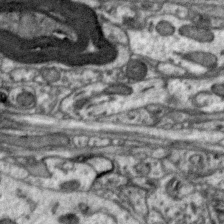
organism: Zebra finch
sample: Brain